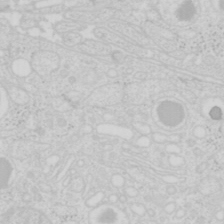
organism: Mouse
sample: Pancreas